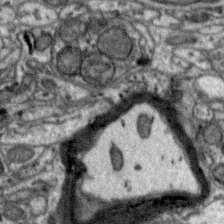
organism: Zebra finch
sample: Brain